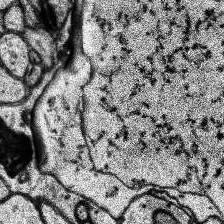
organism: Human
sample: Temporal Lobe